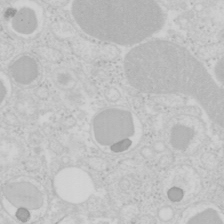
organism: Mouse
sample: Pancreas